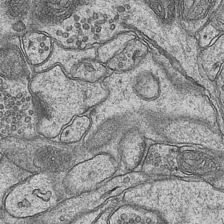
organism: Mouse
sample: CA1 Hippocampus